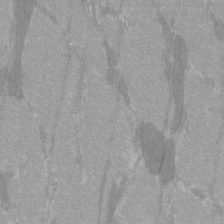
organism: C57BL Mouse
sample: Tibialis anterior muscle cell